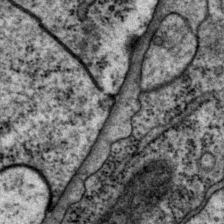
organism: P. pacificus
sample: Pharynx